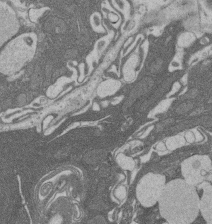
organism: Rat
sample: Salivary granule